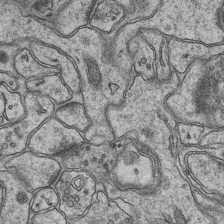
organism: Mouse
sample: CA1 Hippocampus